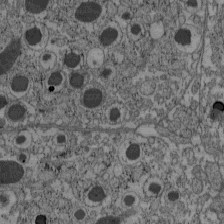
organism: C57BL Mouse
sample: Pancreatic islet